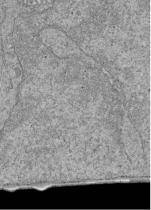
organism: Human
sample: Retinal organoid Rod and Cone cells